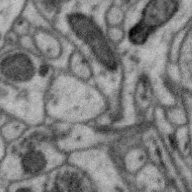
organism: Zebra finch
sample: Brain